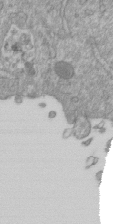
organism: Mouse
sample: ED-1 cell nuclei; centrioles